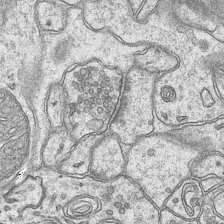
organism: Mouse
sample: CA1 Hippocampus